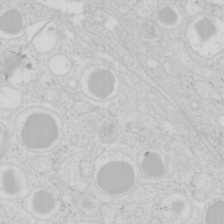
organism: Mouse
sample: Pancreas